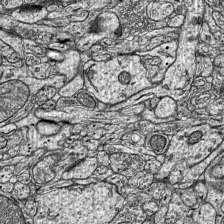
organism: Mouse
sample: Visual Cortex